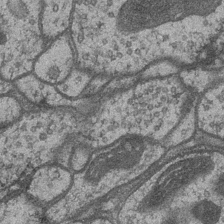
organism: Drosophila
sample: Optic medulla